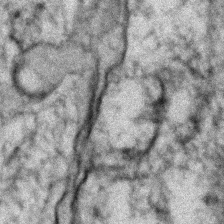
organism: Zebrafish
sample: Zebrafish embryo